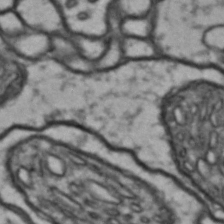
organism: Drosophila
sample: Brain